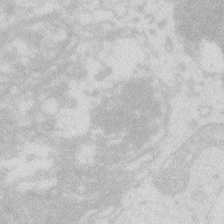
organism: Zebrafish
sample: Macrophage